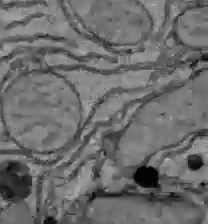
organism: C57BL Mouse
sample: Liver